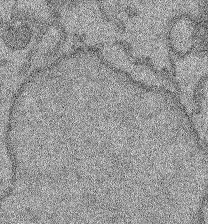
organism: Human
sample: HeLa cells